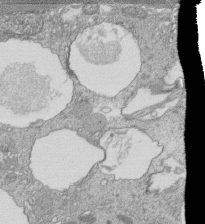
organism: Tetrahymena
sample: Cilia in tetrahymena